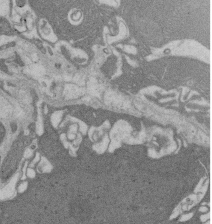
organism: Rat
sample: Salivary granule